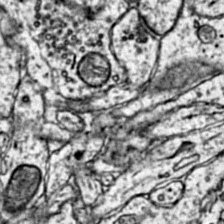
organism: Mouse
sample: Primary visual cortex